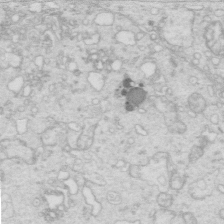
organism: Mouse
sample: Multiciliated cells